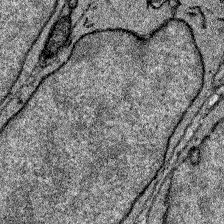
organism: Zebrafish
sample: Larval olfactory bulb